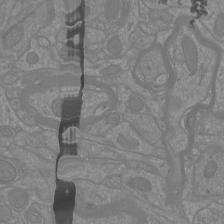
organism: Mouse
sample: Cortical neurons